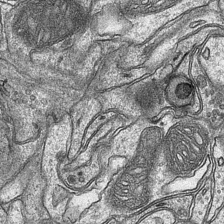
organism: Mouse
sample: CA1 Hippocampus